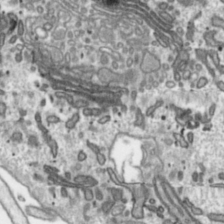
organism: Toxoplasma gondii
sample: Parasites in a vacuole inside a host cell